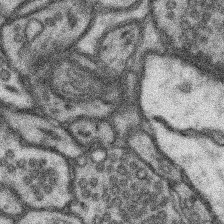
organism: Mouse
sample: Somatosensory cortex neuropil